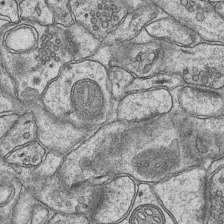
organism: Mouse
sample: CA1 Hippocampus